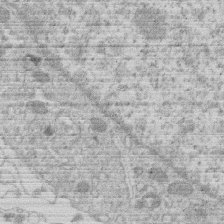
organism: Human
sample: Macrophage cells